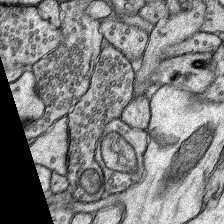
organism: Rat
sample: Hippocampus